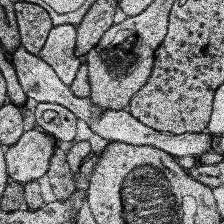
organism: Human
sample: Temporal Lobe